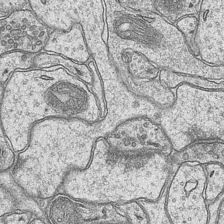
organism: Mouse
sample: CA1 Hippocampus